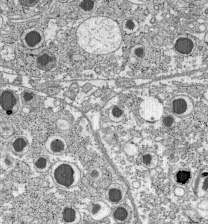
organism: C57BL Mouse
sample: Pancreatic islet